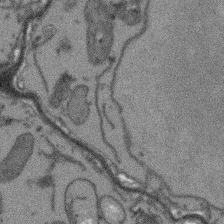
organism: Arabidopsis thaliana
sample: Root tip